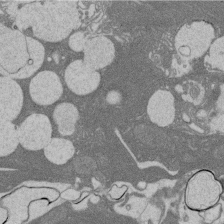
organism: Rat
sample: Salivary granule